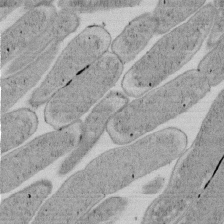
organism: E. coli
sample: Bacterial nucleoid